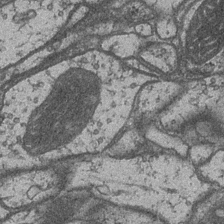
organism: Drosophila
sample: Optic medulla